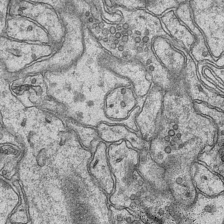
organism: Mouse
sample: CA1 Hippocampus